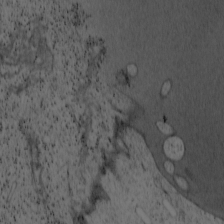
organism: African green monkey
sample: COS-7 cells